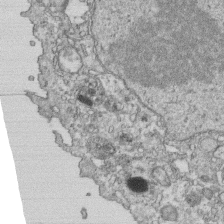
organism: Human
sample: HeLa cell HIV synapse